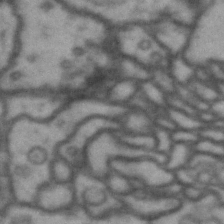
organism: Drosophila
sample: Brain